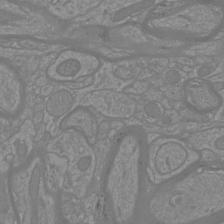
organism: Mouse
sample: Cortical neurons